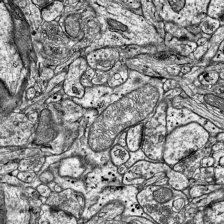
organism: Mouse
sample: Visual Cortex